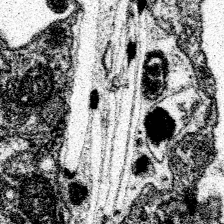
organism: Spongilla lacustris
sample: Neuroid cell